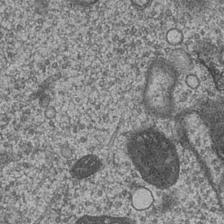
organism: Drosophila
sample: Optic medulla